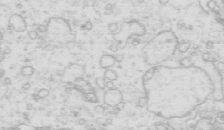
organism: Mouse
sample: Multiciliated cells